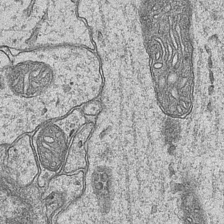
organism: Mouse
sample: CA1 Hippocampus